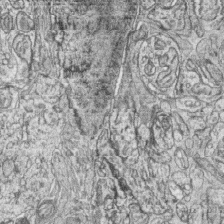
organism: Zebrafish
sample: synaptic ribbons in rod cells and cone cells